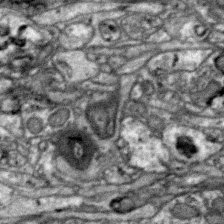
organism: Zebra finch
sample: Brain